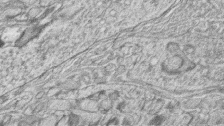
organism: Zebrafish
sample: synaptic ribbons in rod cells and cone cells